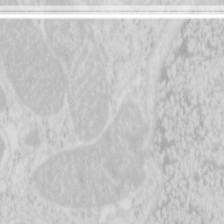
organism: Mouse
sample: Pancreas